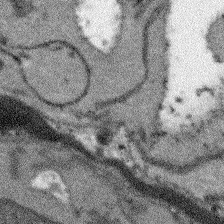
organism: Arabidopsis thaliana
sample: Root tip